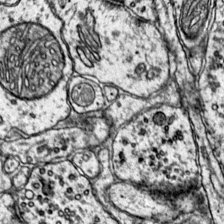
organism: Mouse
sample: Primary visual cortex